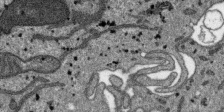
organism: Human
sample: Lung epithelial cells, uninfected (mock) control